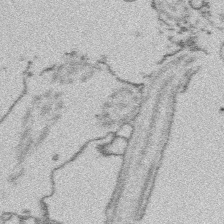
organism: Platynereis dumerilii